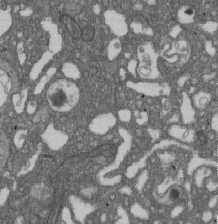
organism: Drosophila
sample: Nephrocyte